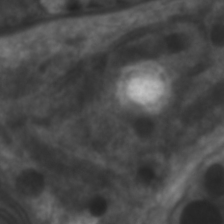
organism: C. elegans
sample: Pharynx